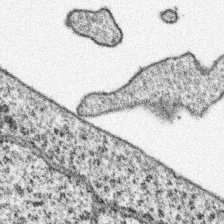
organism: Human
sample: HeLa cells